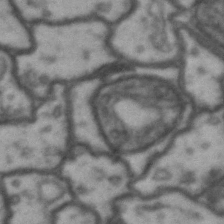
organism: Drosophila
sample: Brain